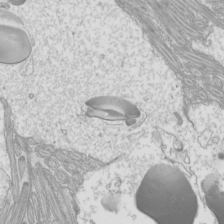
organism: Mouse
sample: Cilia; mouse epididymis